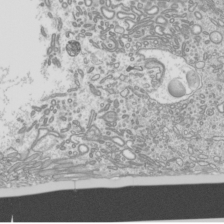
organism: Mouse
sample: Cilia; mouse epididymis